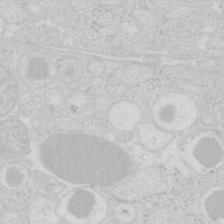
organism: Mouse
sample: Pancreas